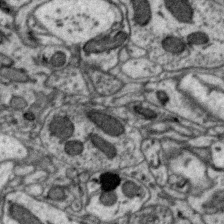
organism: Zebra finch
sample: Brain